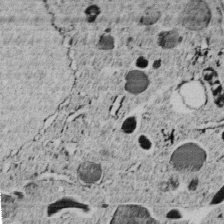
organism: C. elegans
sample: C. elegans embryo early stage